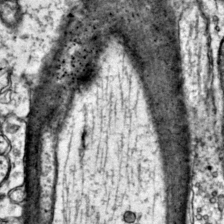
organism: Mouse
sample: Primary visual cortex